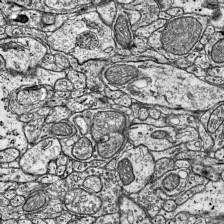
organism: Mouse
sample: Visual Cortex